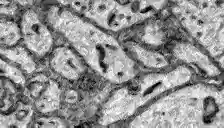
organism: Zebrafish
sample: Brain